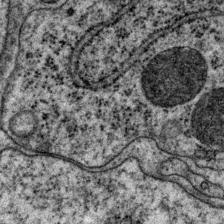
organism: P. pacificus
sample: Pharynx